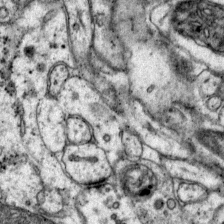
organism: Mouse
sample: Primary visual cortex